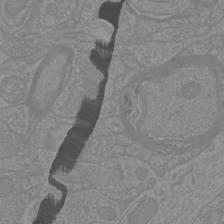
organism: Mouse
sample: Cortical neurons